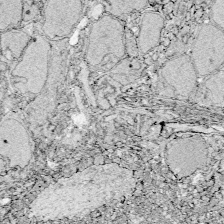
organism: Zebrafish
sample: Whole-Brain